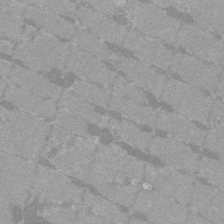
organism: C57BL Mouse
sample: Tibialis anterior muscle cell